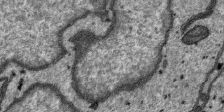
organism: Human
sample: Lung epithelial cells, uninfected (mock) control